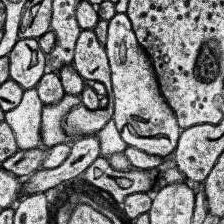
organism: Human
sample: Temporal Lobe